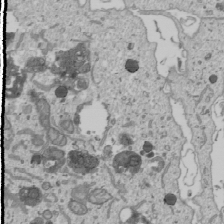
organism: Human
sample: Mitochondria in U2OS cells